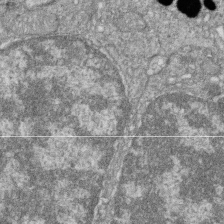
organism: Zebrafish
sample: Cilia; retinal pigment epithelium